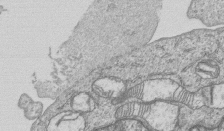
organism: Human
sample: MDA-MB-231 cells